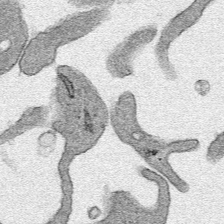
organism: Human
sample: Mitochondria in HCT116 cells